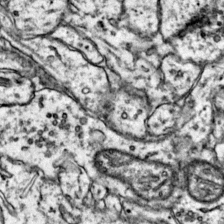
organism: Mouse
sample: Primary visual cortex